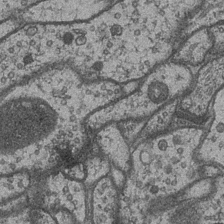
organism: Drosophila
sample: Optic medulla